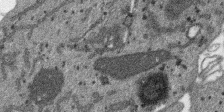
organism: Human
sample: Lung epithelial cells infected with SARS-CoV-2